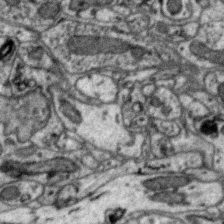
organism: Zebra finch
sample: Brain